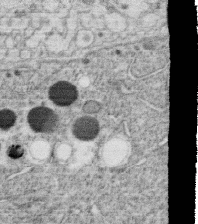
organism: C. elegans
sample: C. elegans oocyte; sperm cells